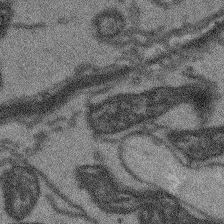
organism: Arabidopsis thaliana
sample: Root tip